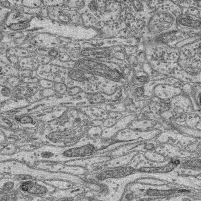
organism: Mouse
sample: Retina